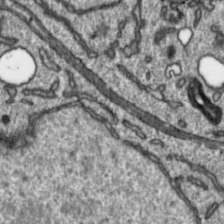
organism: Toxoplasma gondii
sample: Parasites in a vacuole inside a host cell